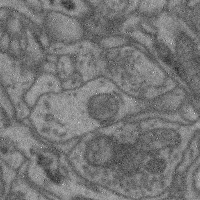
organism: Mouse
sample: Cerebral cortex